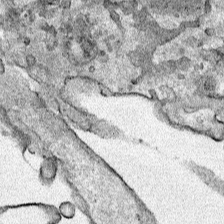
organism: Human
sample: Mitochondria in HCT116 cells